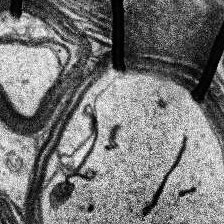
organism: Human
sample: Temporal Lobe